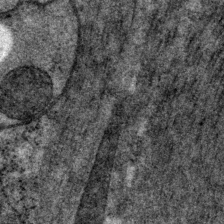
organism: P. pacificus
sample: Pharynx